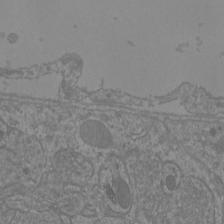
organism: Mouse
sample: Cortical neurons